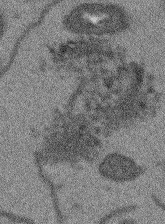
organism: Arabidopsis thaliana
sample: Root tip